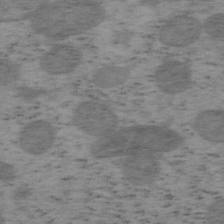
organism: Mouse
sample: OT-I killer T cells with ID8 ovarian cancer cells